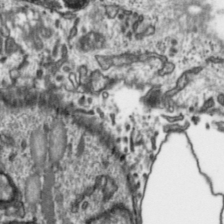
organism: Toxoplasma gondii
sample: Parasites in a vacuole inside a host cell